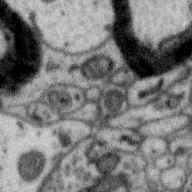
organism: Zebra finch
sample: Brain